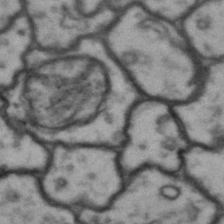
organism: Drosophila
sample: Brain